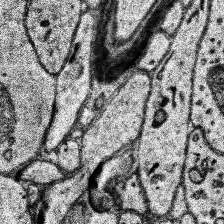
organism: Human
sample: Temporal Lobe